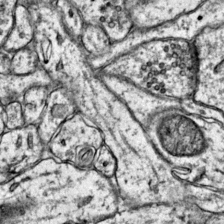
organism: Mouse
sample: Primary visual cortex